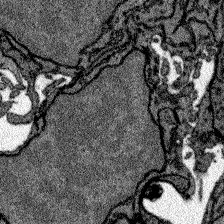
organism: Zebrafish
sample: Larval olfactory bulb